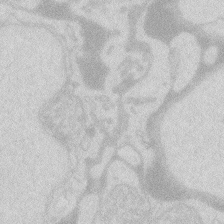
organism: Zebrafish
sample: Macrophage